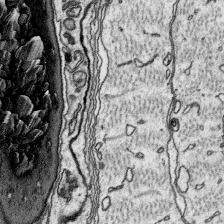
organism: Platynereis dumerilii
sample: Parapodia